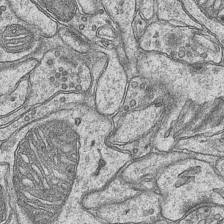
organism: Mouse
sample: CA1 Hippocampus